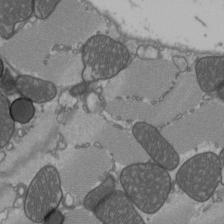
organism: C57BL Mouse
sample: Heart